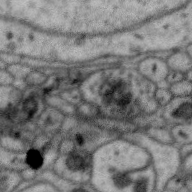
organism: Zebra finch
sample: Brain